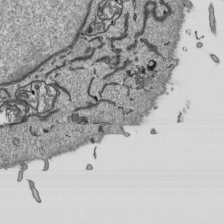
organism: Human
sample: Mitochondria in HCT116 cells